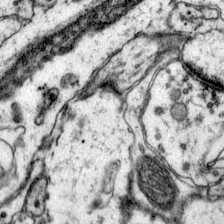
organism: Mouse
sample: Primary visual cortex